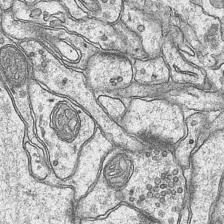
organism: Mouse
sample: CA1 Hippocampus